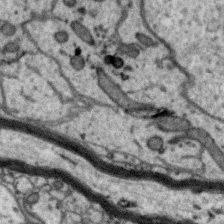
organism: Zebra finch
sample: Brain